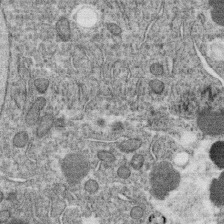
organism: C. elegans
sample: C. elegans oocyte; sperm cells